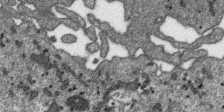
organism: Human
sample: Lung epithelial cells infected with SARS-CoV-2